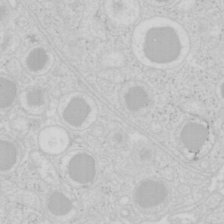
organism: Mouse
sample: Pancreas